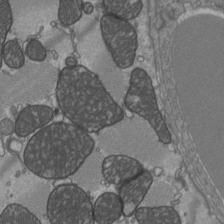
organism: C57BL Mouse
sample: Heart